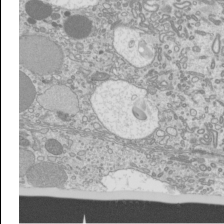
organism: Mouse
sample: Cilia; mouse epididymis